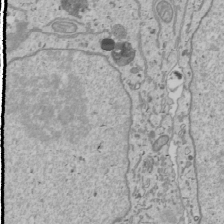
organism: Human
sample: Mitochondria in U2OS cells